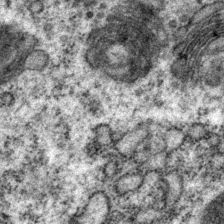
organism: P. pacificus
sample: Pharynx